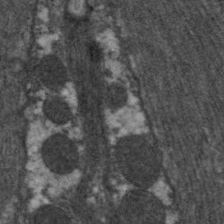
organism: C. elegans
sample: Pharynx